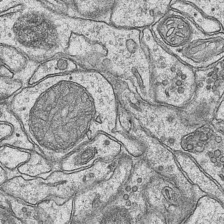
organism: Mouse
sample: CA1 Hippocampus